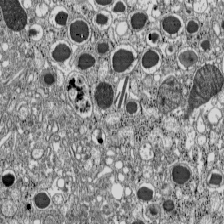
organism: C57BL Mouse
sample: Pancreatic islet